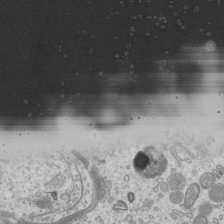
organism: Mouse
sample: Cilia; mouse epididymis